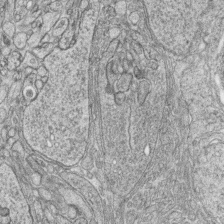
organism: Zebrafish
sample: synaptic ribbons in rod cells and cone cells